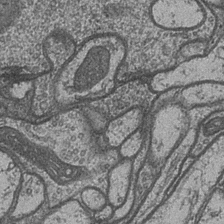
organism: Drosophila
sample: Optic medulla